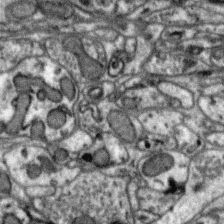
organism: Zebra finch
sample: Brain